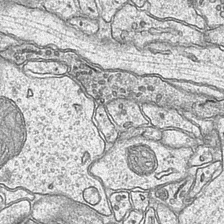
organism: Mouse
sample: CA1 Hippocampus